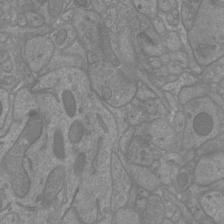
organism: Mouse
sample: Cortical neurons